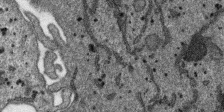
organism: Human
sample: Lung epithelial cells infected with SARS-CoV-2